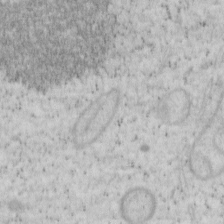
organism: Human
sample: HeLa cells